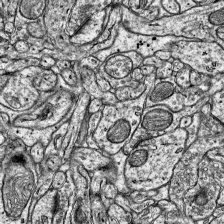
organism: Mouse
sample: Visual Cortex